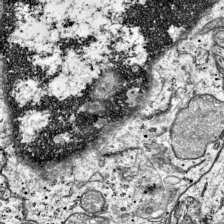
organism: Mouse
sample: Visual Cortex